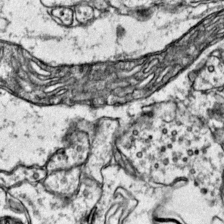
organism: Mouse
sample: Primary visual cortex